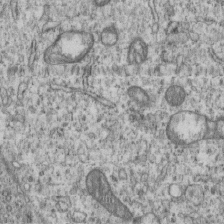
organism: Human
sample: MDA-MB-231 cells